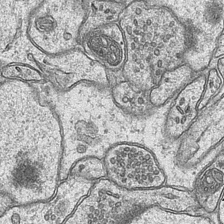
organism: Mouse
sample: CA1 Hippocampus